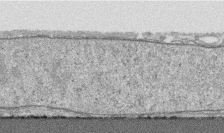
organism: Human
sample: CRL-1474